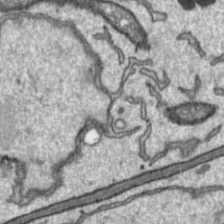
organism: Toxoplasma gondii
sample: Parasites in a vacuole inside a host cell